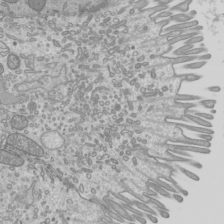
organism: Mouse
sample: Cilia; mouse epididymis